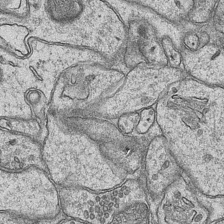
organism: Mouse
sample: CA1 Hippocampus